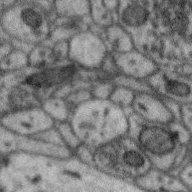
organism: Zebra finch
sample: Brain